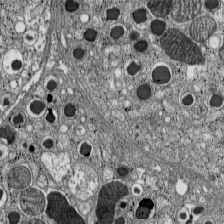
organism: C57BL Mouse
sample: Pancreatic islet